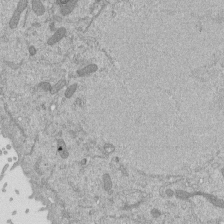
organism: Mouse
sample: ED-1 cell nuclei; centrioles